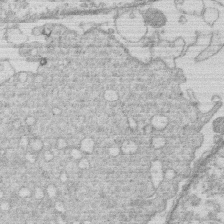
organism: Human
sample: Macrophage cells